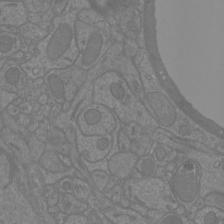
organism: Mouse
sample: Cortical neurons